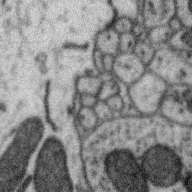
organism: Zebra finch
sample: Brain